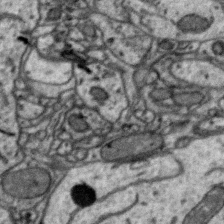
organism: Zebra finch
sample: Brain